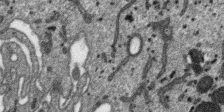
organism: Human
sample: Lung epithelial cells infected with SARS-CoV-2